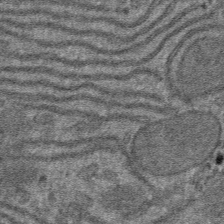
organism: Mouse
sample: Mouse hepatocytes